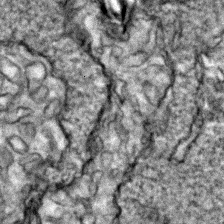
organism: Zebrafish